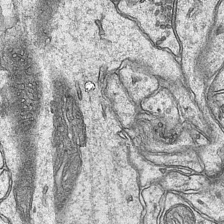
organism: Mouse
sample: CA1 Hippocampus